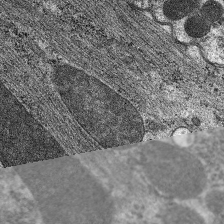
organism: C. elegans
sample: Pharynx